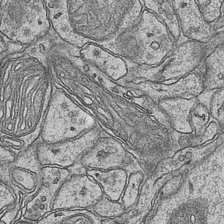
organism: Mouse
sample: CA1 Hippocampus